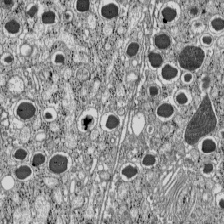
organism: C57BL Mouse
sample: Pancreatic islet